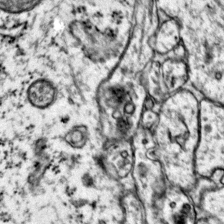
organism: Mouse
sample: Primary visual cortex